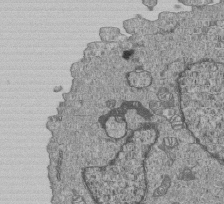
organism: Human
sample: MDA-MB-231 cells